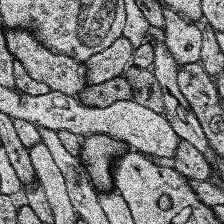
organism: Human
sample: Temporal Lobe